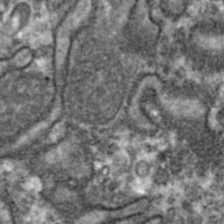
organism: Zebrafish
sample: Zebrafish embryo